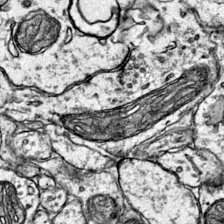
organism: Mouse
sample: Primary visual cortex